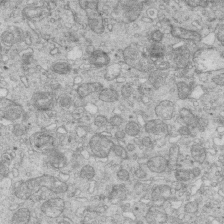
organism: Mouse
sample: Multiciliated cells